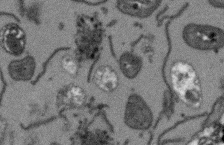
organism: Arabidopsis thaliana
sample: Root tip